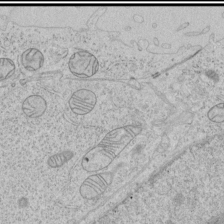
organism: Human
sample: Mitochondria in HCT116 cells